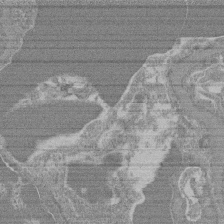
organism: Mouse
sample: Glomerulus